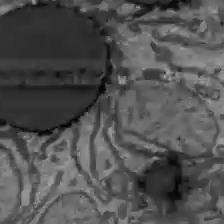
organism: C57BL Mouse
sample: Liver